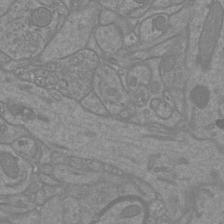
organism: Mouse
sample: Cortical neurons